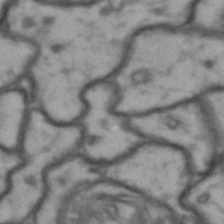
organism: Drosophila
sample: Brain